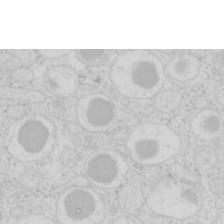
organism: Mouse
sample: Pancreas